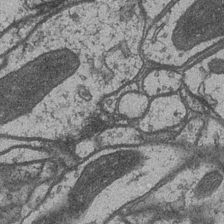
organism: Drosophila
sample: Optic medulla